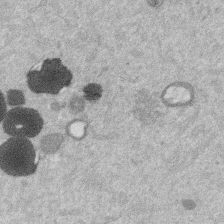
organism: Mouse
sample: Dividing mouse embryo 1 cell stage